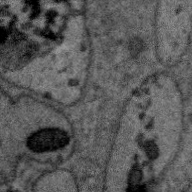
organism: Zebra finch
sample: Brain